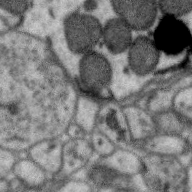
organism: Zebra finch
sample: Brain